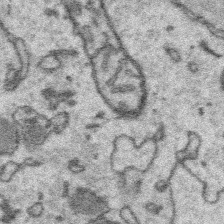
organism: Platynereis dumerilii